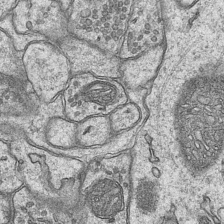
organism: Mouse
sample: CA1 Hippocampus